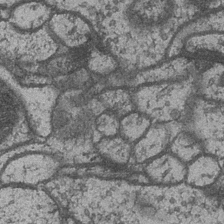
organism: Drosophila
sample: Optic medulla